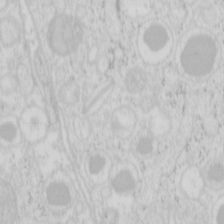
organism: Mouse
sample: Pancreas